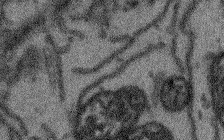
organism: Arabidopsis thaliana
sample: Root tip